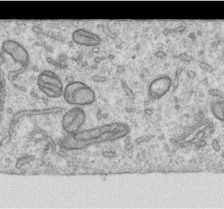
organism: Human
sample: Centriole in RPE cells